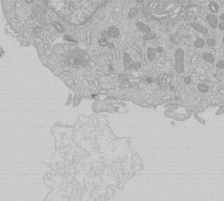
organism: Human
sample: Macrophage cells